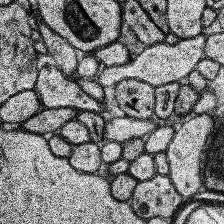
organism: Human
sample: Temporal Lobe